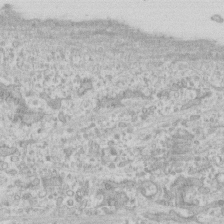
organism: Human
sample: CRL-1474